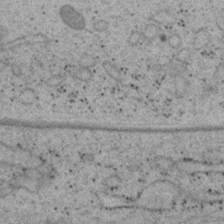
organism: Human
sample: HeLa cells